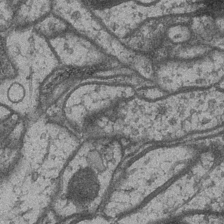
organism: Drosophila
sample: Optic medulla